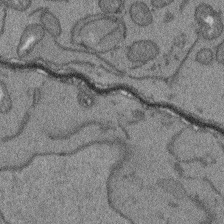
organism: Arabidopsis thaliana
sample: Root tip